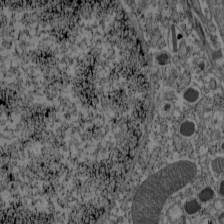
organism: C57BL Mouse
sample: Pancreatic islet